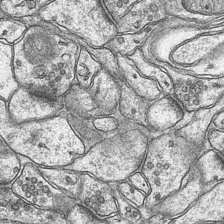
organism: Mouse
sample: CA1 Hippocampus